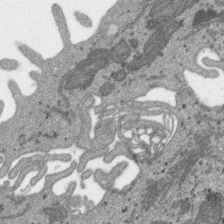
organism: Human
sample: Lung epithelial cells infected with SARS-CoV-2